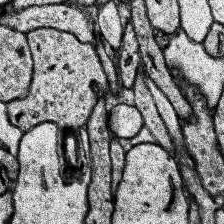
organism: Human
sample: Temporal Lobe